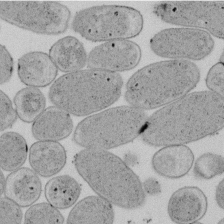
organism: E. coli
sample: Bacterial nucleoid